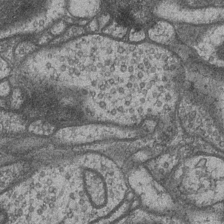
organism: Drosophila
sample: Optic medulla